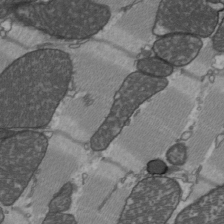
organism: C57BL Mouse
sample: Heart